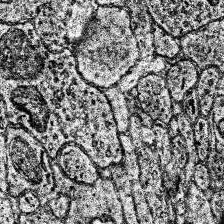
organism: Human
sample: Temporal Lobe